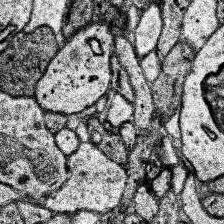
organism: Human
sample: Temporal Lobe